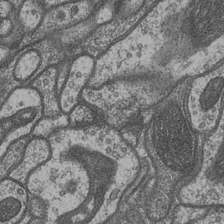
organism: Drosophila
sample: Optic medulla